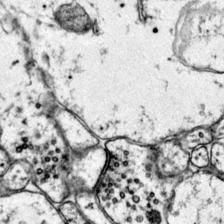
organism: Mouse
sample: Primary visual cortex